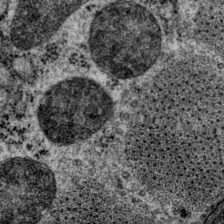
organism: P. pacificus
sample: Pharynx